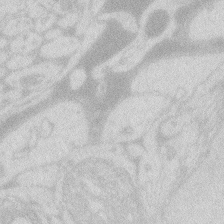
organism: Zebrafish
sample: Macrophage